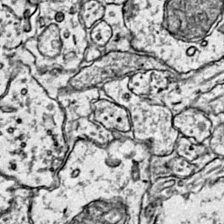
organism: Mouse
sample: Primary visual cortex